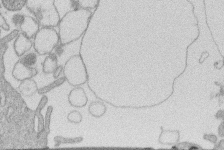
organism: Human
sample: Macrophage cells